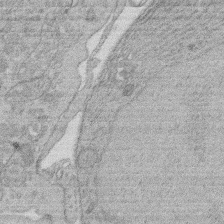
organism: Rat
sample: Salivary granule